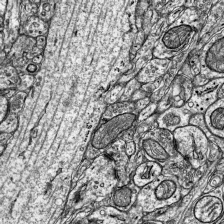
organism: Mouse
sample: Visual Cortex